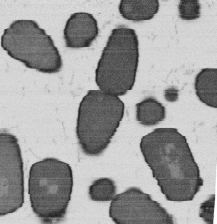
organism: B. subtilis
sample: Bacterial spore